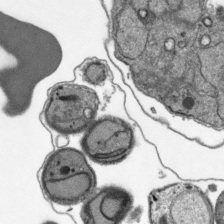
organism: Plasmodium falciparum